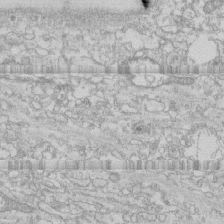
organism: Human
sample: CRL-1474